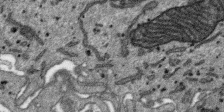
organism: Human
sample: Lung epithelial cells, uninfected (mock) control